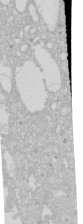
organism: Human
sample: Caco-2 cells